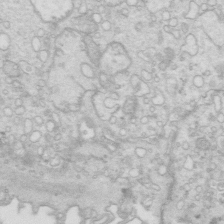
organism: Mouse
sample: Multiciliated cells